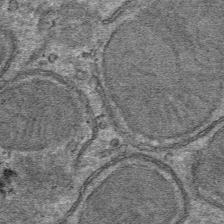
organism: Mouse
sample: Mouse hepatocytes